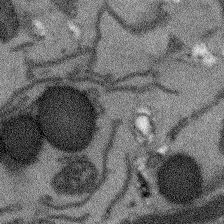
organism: Arabidopsis thaliana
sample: Root tip